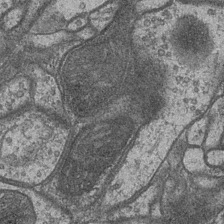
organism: Drosophila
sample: Optic medulla